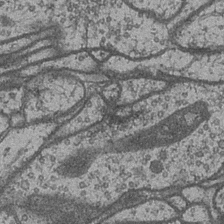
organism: Drosophila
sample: Optic medulla